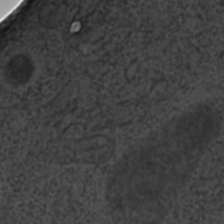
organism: C. elegans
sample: C. elegans embryo